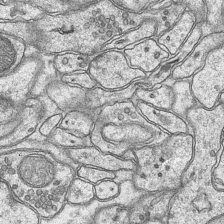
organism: Mouse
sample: CA1 Hippocampus